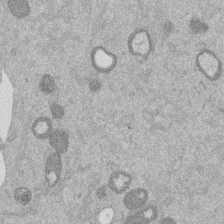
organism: Mouse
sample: Dividing mouse embryo 1 cell stage